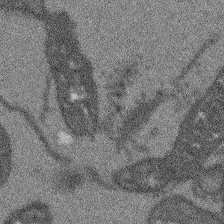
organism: Arabidopsis thaliana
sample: Root tip